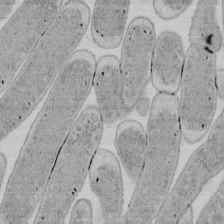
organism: E. coli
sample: Bacterial nucleoid